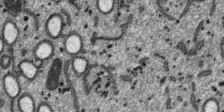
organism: Human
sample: Lung epithelial cells infected with SARS-CoV-2